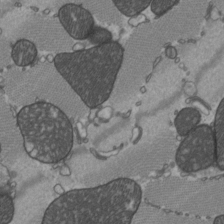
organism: C57BL Mouse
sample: Heart